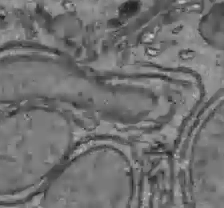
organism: C57BL Mouse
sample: Liver